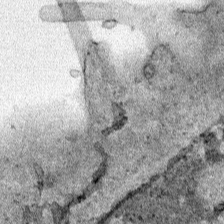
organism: Human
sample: Mitochondria in HCT116 cells